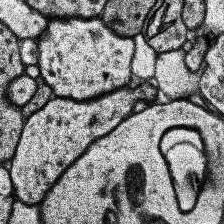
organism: Human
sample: Temporal Lobe